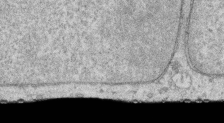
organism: Human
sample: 1205lu cells